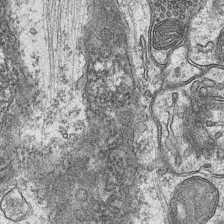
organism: Mouse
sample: CA1 Hippocampus